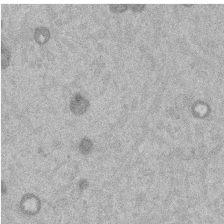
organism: Mouse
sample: Dividing mouse embryo 1 cell stage